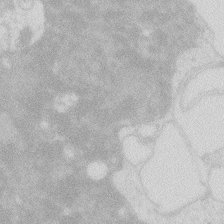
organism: Zebrafish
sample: Macrophage